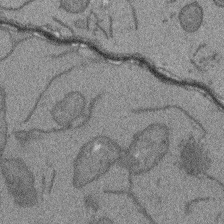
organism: Arabidopsis thaliana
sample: Root tip